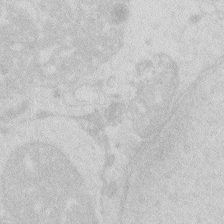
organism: Zebrafish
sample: Macrophage